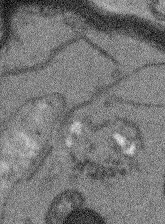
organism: Arabidopsis thaliana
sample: Root tip